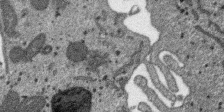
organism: Human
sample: Lung epithelial cells infected with SARS-CoV-2